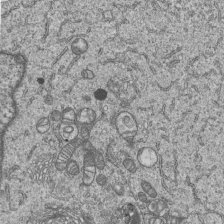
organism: Human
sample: MDA-MB-231 cells